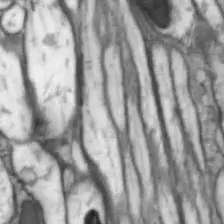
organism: Drosophila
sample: Optic lobe